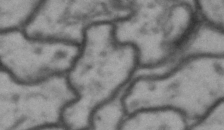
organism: Drosophila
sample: Brain